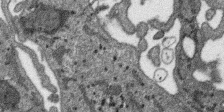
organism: Human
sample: Lung epithelial cells infected with SARS-CoV-2